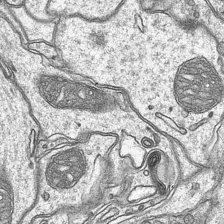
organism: Mouse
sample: CA1 Hippocampus